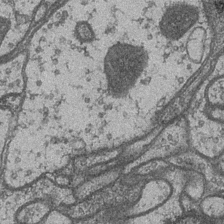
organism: Drosophila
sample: Optic medulla